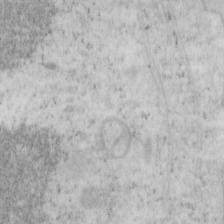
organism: Human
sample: HeLa cells